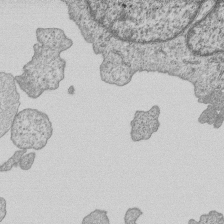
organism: Human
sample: MDA-MB-231 cells